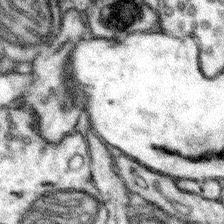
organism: Mouse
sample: Somatosensory cortex neuropil